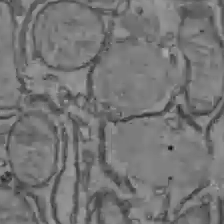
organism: C57BL Mouse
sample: Liver